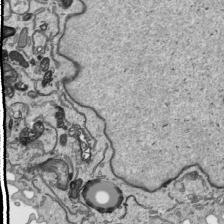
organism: Human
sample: Mitochondria in HCT116 cells